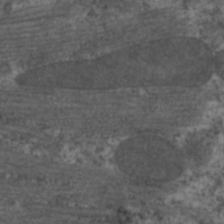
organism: C. elegans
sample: Pharynx